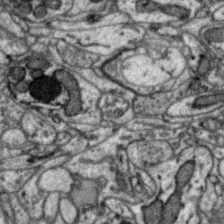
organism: Zebra finch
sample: Brain